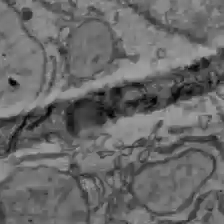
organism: C57BL Mouse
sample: Liver